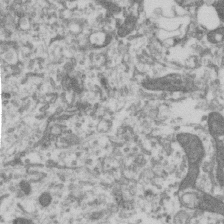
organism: Human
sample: Centriole in RPE cells